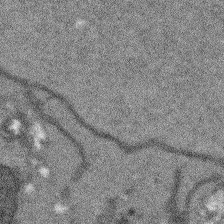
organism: Arabidopsis thaliana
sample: Root tip